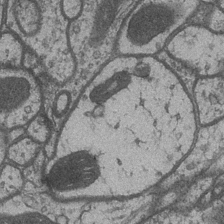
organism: Drosophila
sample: Optic medulla